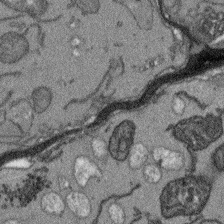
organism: Arabidopsis thaliana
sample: Root tip